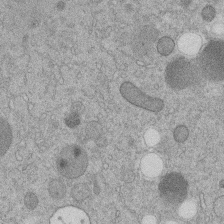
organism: C. elegans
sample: C. elegans embryo early stage